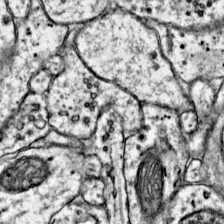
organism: Mouse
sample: Primary visual cortex